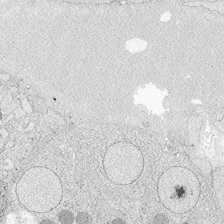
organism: Zebrafish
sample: Whole-Brain